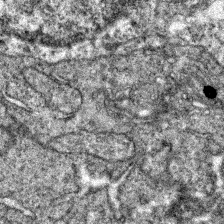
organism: Zebrafish